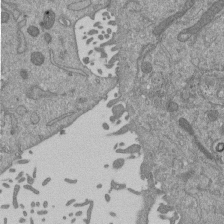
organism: Mouse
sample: ED-1 cell nuclei; centrioles